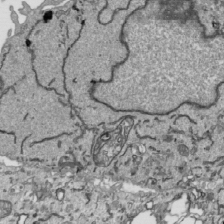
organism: Human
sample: Mitochondria in HCT116 cells